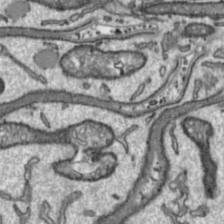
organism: Toxoplasma gondii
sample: Parasites in a vacuole inside a host cell